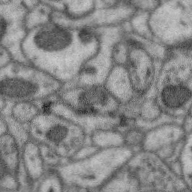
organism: Zebra finch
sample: Brain